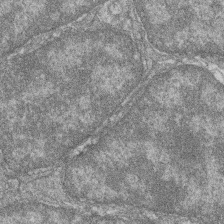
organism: Zebrafish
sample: Cilia; retinal pigment epithelium